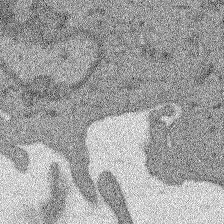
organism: Human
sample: HeLa cells